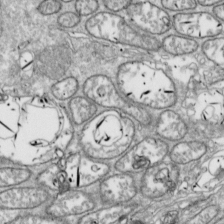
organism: Drosophila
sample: Cell division; meiosis; drosophila spermatocytes